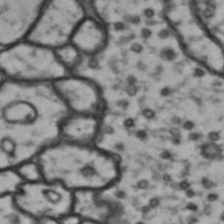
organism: Drosophila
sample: Brain